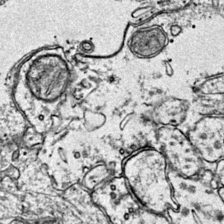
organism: Mouse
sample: Primary visual cortex